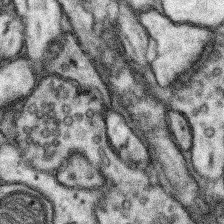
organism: Mouse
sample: Somatosensory cortex neuropil